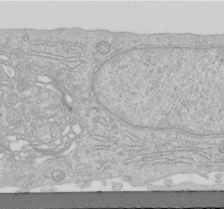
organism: Human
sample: Centriole in RPE cells